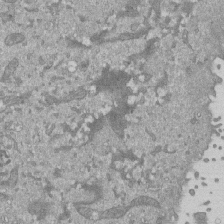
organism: Mouse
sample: ED-1 cell nuclei; centrioles